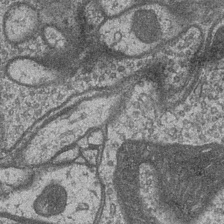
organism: Drosophila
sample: Optic medulla